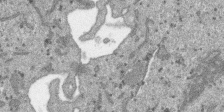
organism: Human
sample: Lung epithelial cells infected with SARS-CoV-2